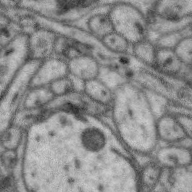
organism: Zebra finch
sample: Brain